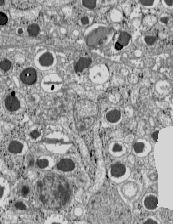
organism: C57BL Mouse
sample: Pancreatic islet